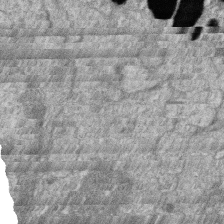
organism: Zebrafish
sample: Cilia; retinal pigment epithelium